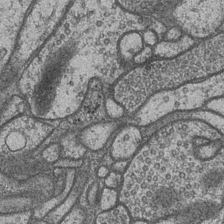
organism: Drosophila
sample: Optic medulla